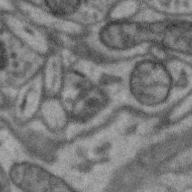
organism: Zebra finch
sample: Brain